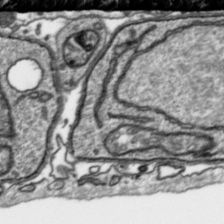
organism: Toxoplasma gondii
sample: Parasites in a vacuole inside a host cell